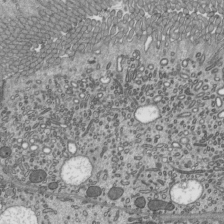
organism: Mouse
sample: Mouse epididymis efferent ductule cilia